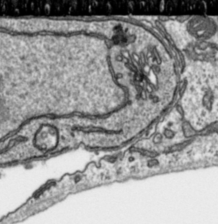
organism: Toxoplasma gondii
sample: Parasites in a vacuole inside a host cell